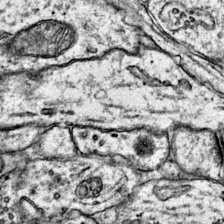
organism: Mouse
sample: Primary visual cortex